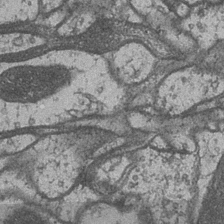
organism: Drosophila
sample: Optic medulla